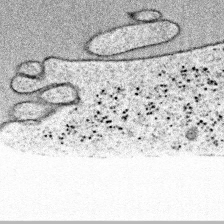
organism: Human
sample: HeLa cells